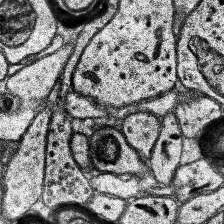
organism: Human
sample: Temporal Lobe